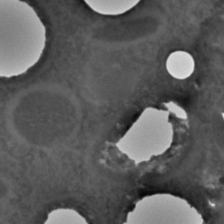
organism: C. elegans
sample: C. elegans embryo